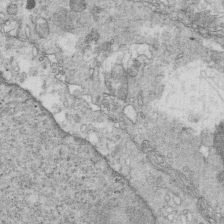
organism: Mouse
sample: Multiciliated cells